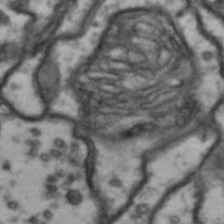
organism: Drosophila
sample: Brain